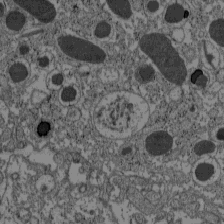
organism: C57BL Mouse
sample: Pancreatic islet